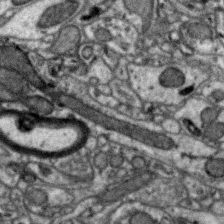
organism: Zebra finch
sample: Brain